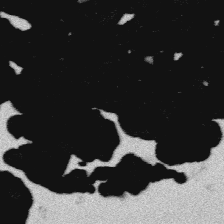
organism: Platynereis dumerilii